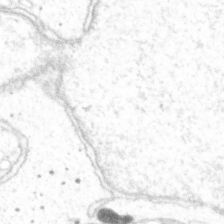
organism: Human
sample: HeLa cells